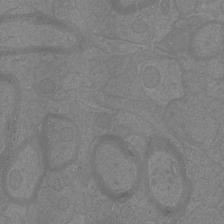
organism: Mouse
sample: Cortical neurons